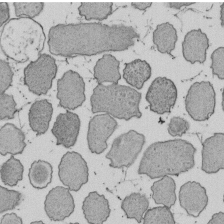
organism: E. coli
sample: Bacterial nucleoid